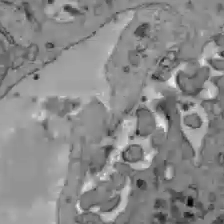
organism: C57BL Mouse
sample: Liver